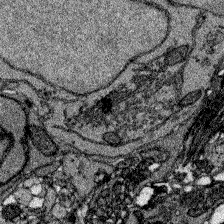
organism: Zebrafish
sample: Larval olfactory bulb